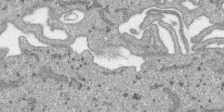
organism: Human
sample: Lung epithelial cells infected with SARS-CoV-2